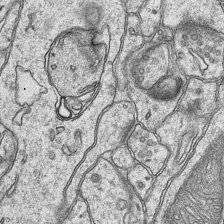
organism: Mouse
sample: CA1 Hippocampus